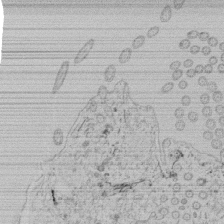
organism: Tetrahymena